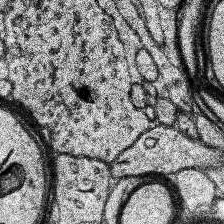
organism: Human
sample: Temporal Lobe